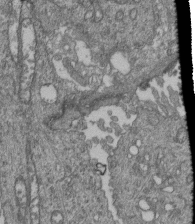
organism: Human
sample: Retinal organoid Rod and Cone cells